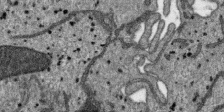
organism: Human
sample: Lung epithelial cells, uninfected (mock) control